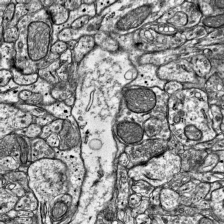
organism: Mouse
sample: Visual Cortex